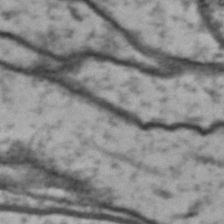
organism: Drosophila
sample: Brain